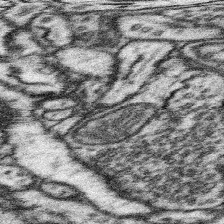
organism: Mouse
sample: Somatosensory cortex neuropil